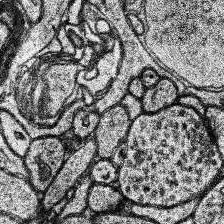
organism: Human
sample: Temporal Lobe